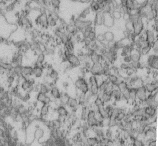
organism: Mouse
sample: Cilia; retinal pigment epithelium